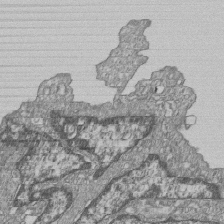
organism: Human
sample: MDA-MB-231 cells